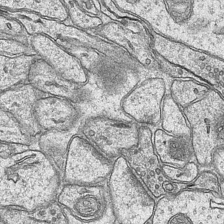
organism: Mouse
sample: CA1 Hippocampus